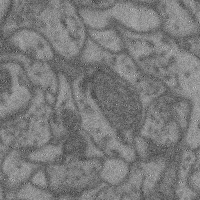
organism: Mouse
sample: Cerebral cortex